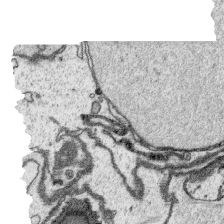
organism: Platynereis dumerilii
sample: Parapodia